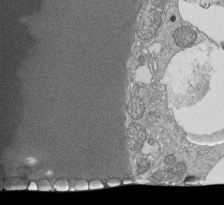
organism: Tetrahymena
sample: Cilia in tetrahymena